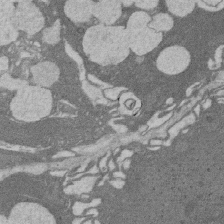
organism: Rat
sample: Salivary granule